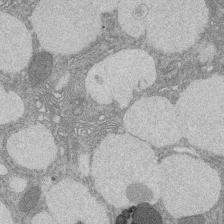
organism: Rat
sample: Salivary granule